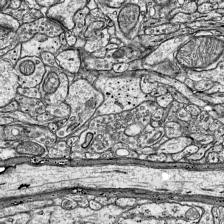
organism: Mouse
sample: Visual Cortex